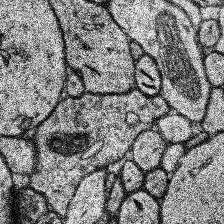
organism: Human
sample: Temporal Lobe